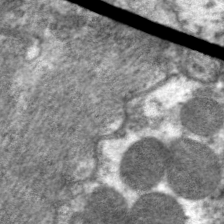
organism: C. elegans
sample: Pharynx